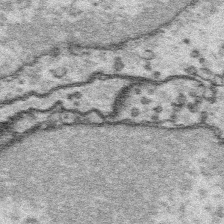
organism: Platynereis dumerilii